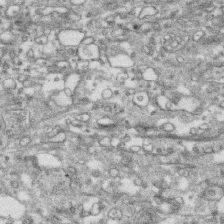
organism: Human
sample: CRL-1474